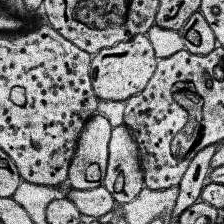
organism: Human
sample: Temporal Lobe